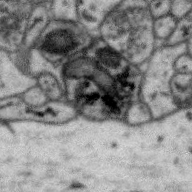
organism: Zebra finch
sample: Brain